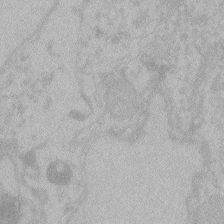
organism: Zebrafish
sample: Macrophage infected with Toxoplasma gondii